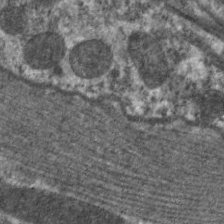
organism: C. elegans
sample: Pharynx